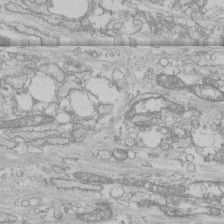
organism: Human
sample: CRL-1474